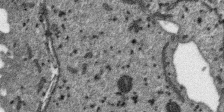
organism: Human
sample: Lung epithelial cells infected with SARS-CoV-2